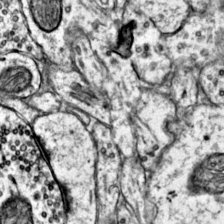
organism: Mouse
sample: Primary visual cortex